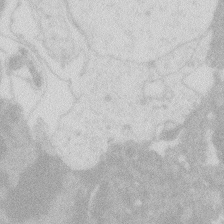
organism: Zebrafish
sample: Macrophage